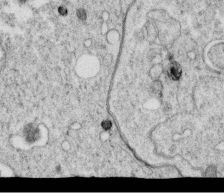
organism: C. elegans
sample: C. elegans oocyte; sperm cells